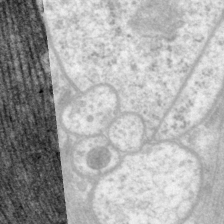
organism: P. pacificus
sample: Pharynx